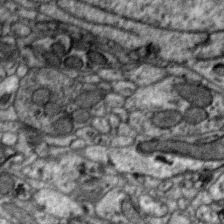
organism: Zebra finch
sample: Brain